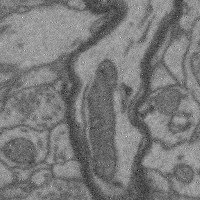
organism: Mouse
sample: Cerebral cortex